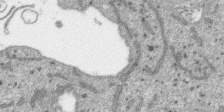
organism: Human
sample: Lung epithelial cells infected with SARS-CoV-2